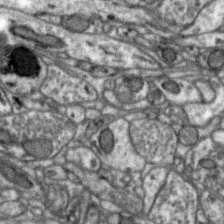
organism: Zebra finch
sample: Brain